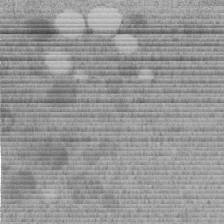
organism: C. elegans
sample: C. elegans embryo early stage